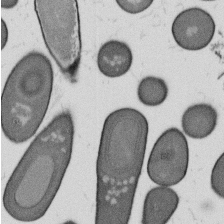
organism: B. subtilis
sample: Bacterial spore